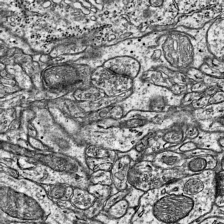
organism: Mouse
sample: Visual Cortex